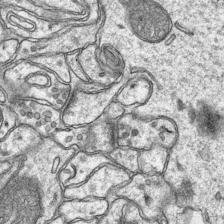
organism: Mouse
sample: CA1 Hippocampus